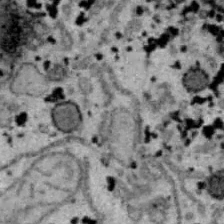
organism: Mouse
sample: Liver from an obese (ob/ob) mouse